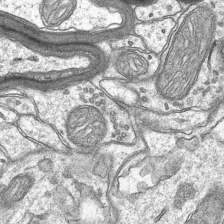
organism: Mouse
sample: CA1 Hippocampus